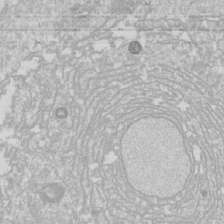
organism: Drosophila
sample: Cell division; meiosis; drosophila spermatocytes